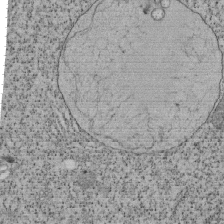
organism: Tetrahymena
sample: Cilia in tetrahymena